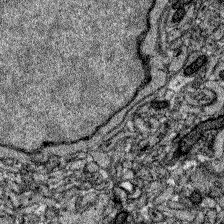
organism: Zebrafish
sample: Larval olfactory bulb